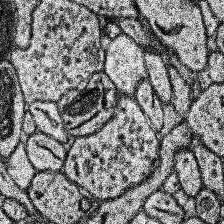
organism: Human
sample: Temporal Lobe